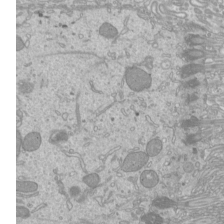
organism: Mouse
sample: Cilia; mouse epididymis